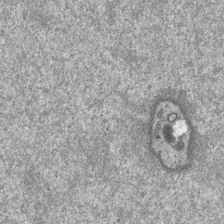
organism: Human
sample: Lung epithelial cells infected with SARS-CoV-2